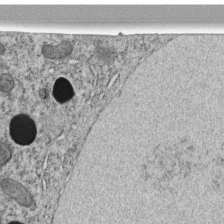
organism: C. elegans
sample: C. elegans embryo early stage